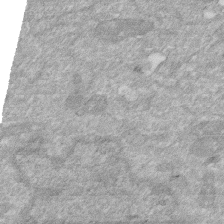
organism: Human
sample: HIV infected U937 cells